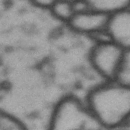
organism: Drosophila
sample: Brain